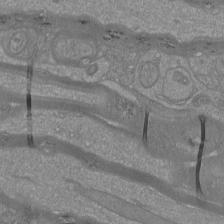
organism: Mouse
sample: Cortical neurons